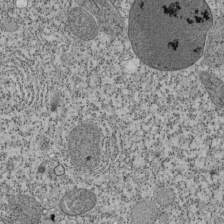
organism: Tetrahymena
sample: Cilia in tetrahymena